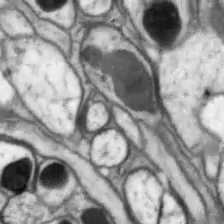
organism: Drosophila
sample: Optic lobe